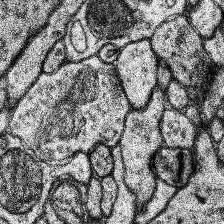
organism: Human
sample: Temporal Lobe